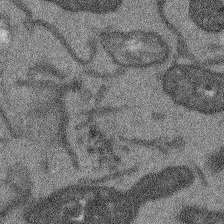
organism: Arabidopsis thaliana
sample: Root tip